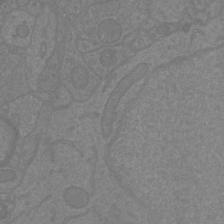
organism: Mouse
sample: Cortical neurons